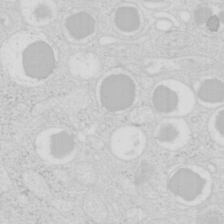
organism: Mouse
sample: Pancreas